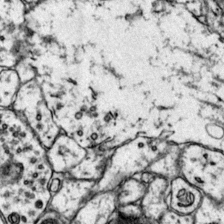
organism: Mouse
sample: Primary visual cortex